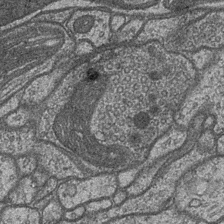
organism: Drosophila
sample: Optic medulla